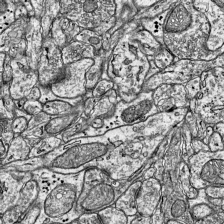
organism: Mouse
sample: Visual Cortex